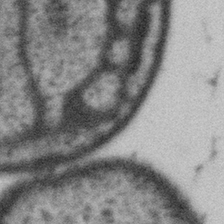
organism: Gemmata obscuriglobus